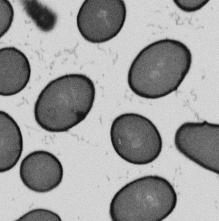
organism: B. subtilis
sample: Bacterial spore